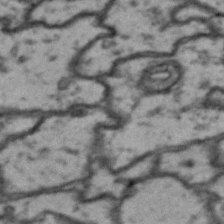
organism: Drosophila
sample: Brain